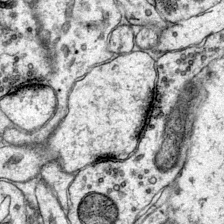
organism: Mouse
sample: Primary visual cortex